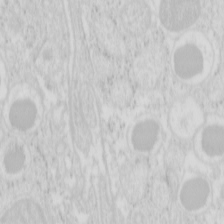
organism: Mouse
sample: Pancreas